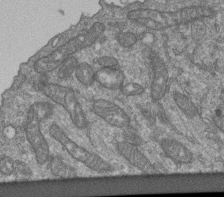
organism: Human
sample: Retinal organoid Rod and Cone cells